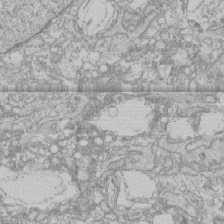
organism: Human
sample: CRL-1474